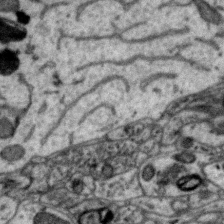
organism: Zebra finch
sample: Brain